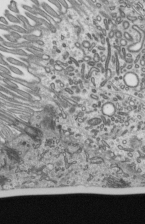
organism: Mouse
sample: Mouse epididymis efferent ductule cilia